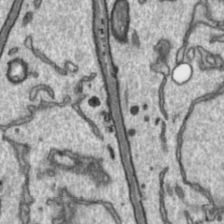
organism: Toxoplasma gondii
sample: Parasites in a vacuole inside a host cell